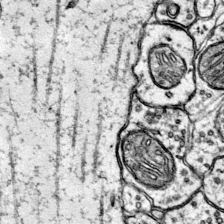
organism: Mouse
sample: Primary visual cortex